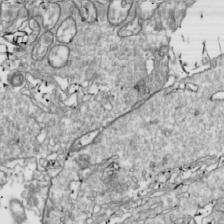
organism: Drosophila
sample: Cell division; meiosis; drosophila spermatocytes